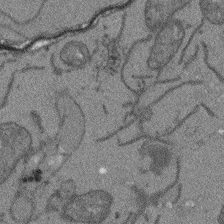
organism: Arabidopsis thaliana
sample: Root tip